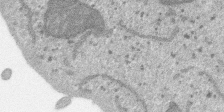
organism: Human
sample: Lung epithelial cells infected with SARS-CoV-2